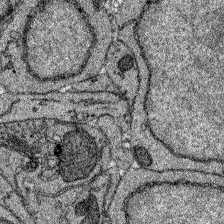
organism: Zebrafish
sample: Larval olfactory bulb